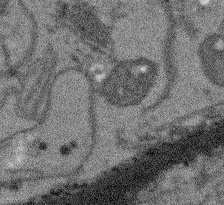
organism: Arabidopsis thaliana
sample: Root tip